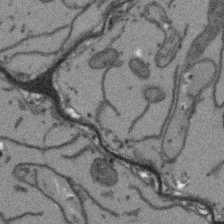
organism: Arabidopsis thaliana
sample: Root tip